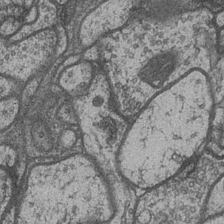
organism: Drosophila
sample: Optic medulla